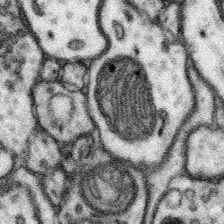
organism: Mouse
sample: Somatosensory cortex neuropil